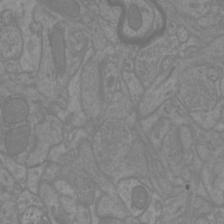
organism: Mouse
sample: Cortical neurons